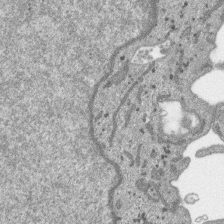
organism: Human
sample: Lung epithelial cells infected with SARS-CoV-2